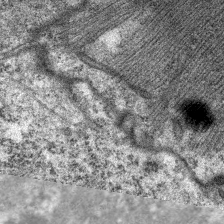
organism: C. elegans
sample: Pharynx